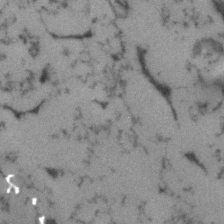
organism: Human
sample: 1205lu cells